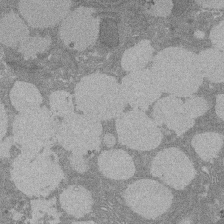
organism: Rat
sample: Salivary granule